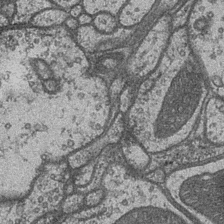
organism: Drosophila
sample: Optic medulla